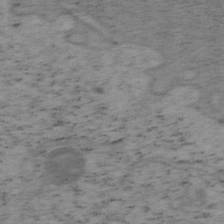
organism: Mouse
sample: OT-I killer T cells with ID8 ovarian cancer cells